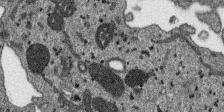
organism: Human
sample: Lung epithelial cells infected with SARS-CoV-2